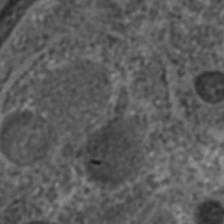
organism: C. elegans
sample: C. elegans embryo